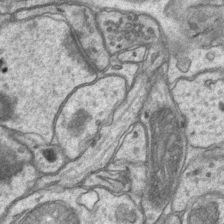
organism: Mouse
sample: CA1 Hippocampus